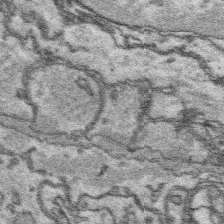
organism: Platynereis dumerilii